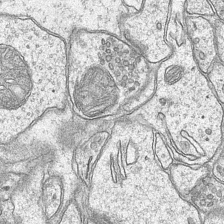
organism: Mouse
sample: CA1 Hippocampus